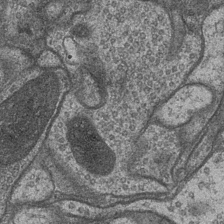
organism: Drosophila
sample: Optic medulla